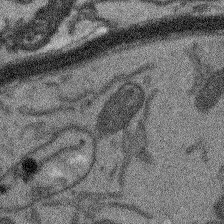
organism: Arabidopsis thaliana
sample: Root tip